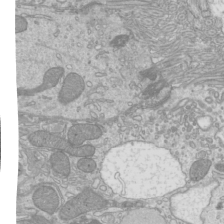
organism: Mouse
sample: Cilia; mouse epididymis